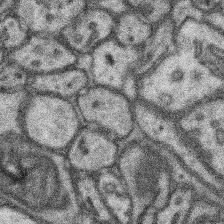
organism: Mouse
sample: Somatosensory cortex neuropil